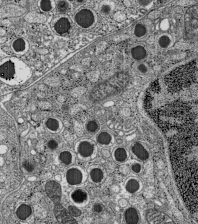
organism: C57BL Mouse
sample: Pancreatic islet